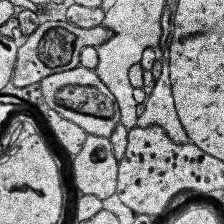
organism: Human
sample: Temporal Lobe